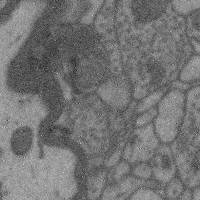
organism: Mouse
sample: Cerebral cortex